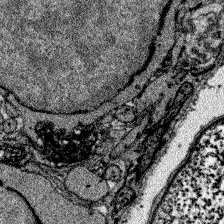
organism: Zebrafish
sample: Larval olfactory bulb